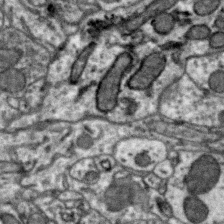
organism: Zebra finch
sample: Brain